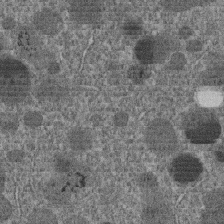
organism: C. elegans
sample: C. elegans embryo early stage